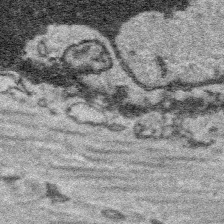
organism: Platynereis dumerilii